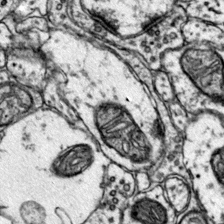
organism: Mouse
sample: Primary visual cortex